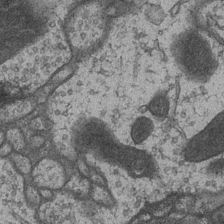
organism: Drosophila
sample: Optic medulla